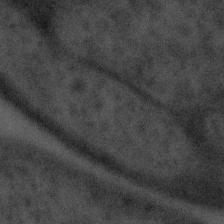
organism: Tuwongella immobilis